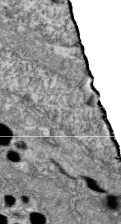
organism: Zebrafish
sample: Cilia; retinal pigment epithelium